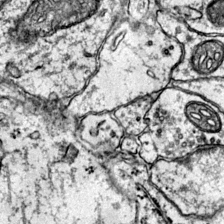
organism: Mouse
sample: Primary visual cortex